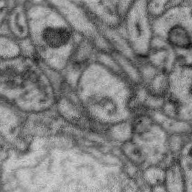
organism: Zebra finch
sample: Brain